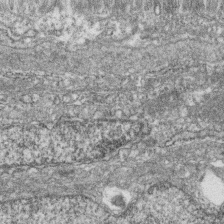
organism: Zebrafish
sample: Cilia; retinal pigment epithelium